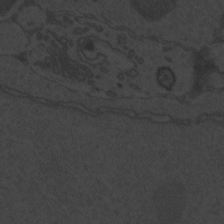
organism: Zebrafish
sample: Macrophage infected with Toxoplasma gondii